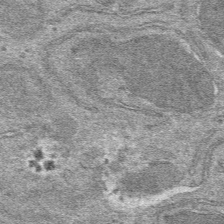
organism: Mouse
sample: Mouse hepatocytes